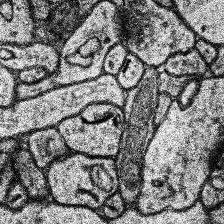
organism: Human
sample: Temporal Lobe